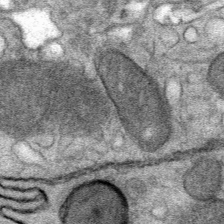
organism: Mouse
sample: Mouse Salivary gland